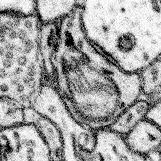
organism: Mouse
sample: Somatosensory cortex neuropil